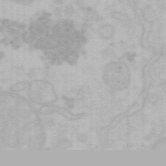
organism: Mouse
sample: Choroid plexus